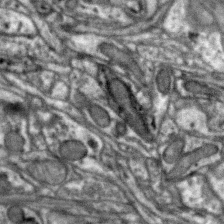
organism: Zebra finch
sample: Brain